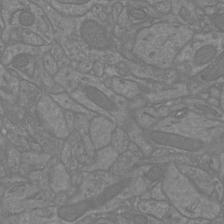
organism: Mouse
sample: Cortical neurons